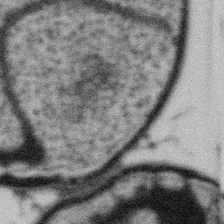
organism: Gemmata obscuriglobus